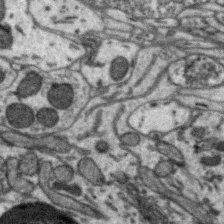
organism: Zebra finch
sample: Brain